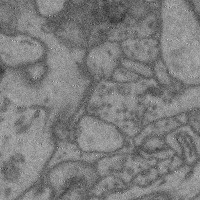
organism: Mouse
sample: Cerebral cortex